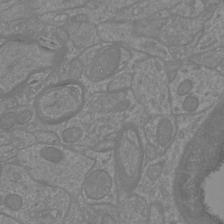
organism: Mouse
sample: Cortical neurons